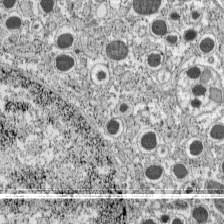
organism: C57BL Mouse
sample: Pancreatic islet